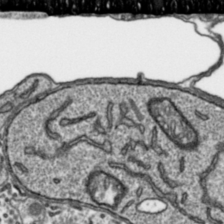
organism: Toxoplasma gondii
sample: Parasites in a vacuole inside a host cell